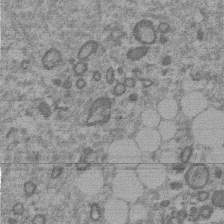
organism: Mouse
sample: Dividing mouse embryo 1 cell stage